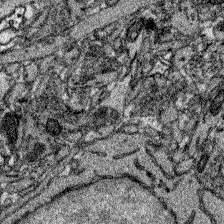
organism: Zebrafish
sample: Larval olfactory bulb